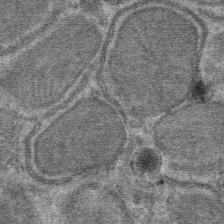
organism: Mouse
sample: Mouse hepatocytes